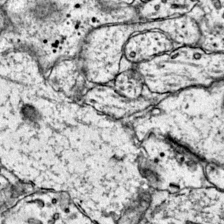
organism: Mouse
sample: Primary visual cortex